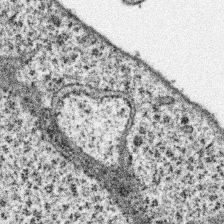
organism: Human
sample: HeLa cells